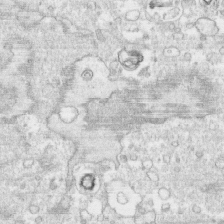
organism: Human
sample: CRL-1474